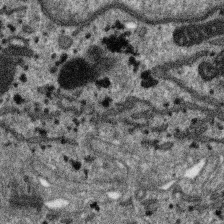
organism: Human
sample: Lung epithelial cells infected with SARS-CoV-2